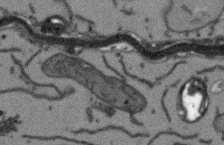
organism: Arabidopsis thaliana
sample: Root tip